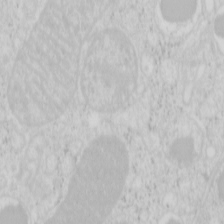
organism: Mouse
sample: Pancreas